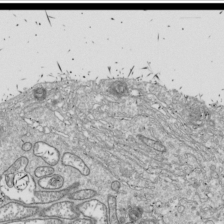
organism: Drosophila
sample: Cell division; meiosis; drosophila spermatocytes